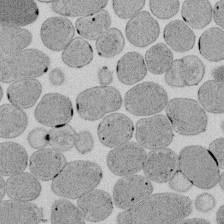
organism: E. coli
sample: Bacterial nucleoid